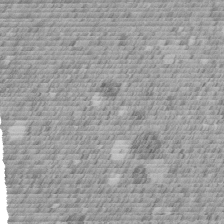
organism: C. elegans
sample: C. elegans embryo early stage